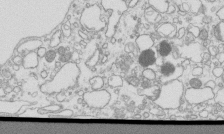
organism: Mouse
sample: Macrophages